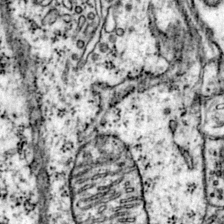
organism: Mouse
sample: Primary visual cortex